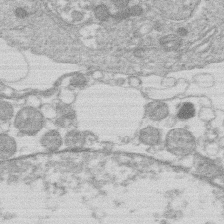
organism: Human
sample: Macrophage cells